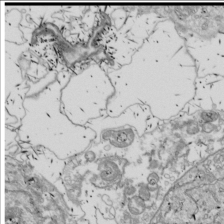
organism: Drosophila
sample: Cell division; meiosis; drosophila spermatocytes